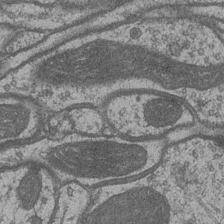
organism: Drosophila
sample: Optic medulla